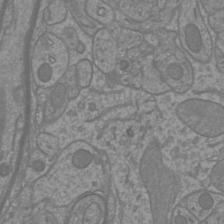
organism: Mouse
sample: Cortical neurons